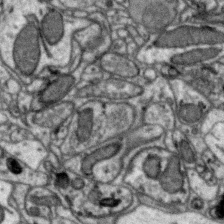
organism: Zebra finch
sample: Brain